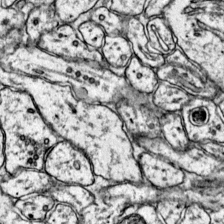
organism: Mouse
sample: Primary visual cortex